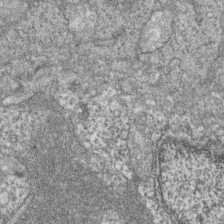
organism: Zebrafish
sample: Cilia; retinal pigment epithelium